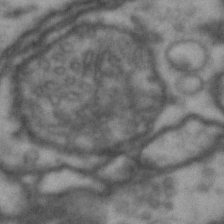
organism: Drosophila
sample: Brain